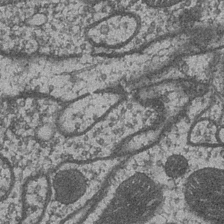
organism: Drosophila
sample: Optic medulla